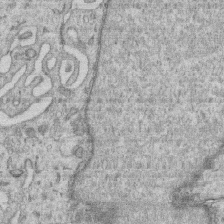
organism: Human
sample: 1205lu cells